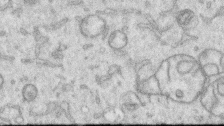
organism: Human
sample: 1205lu cells